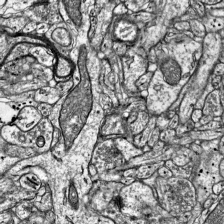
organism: Mouse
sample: Visual Cortex